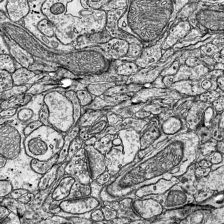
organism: Mouse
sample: Visual Cortex